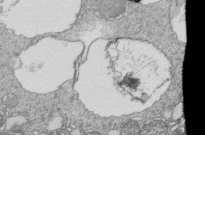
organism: Tetrahymena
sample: Cilia in tetrahymena